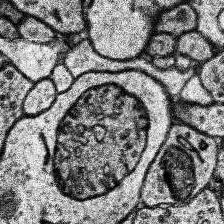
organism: Human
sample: Temporal Lobe